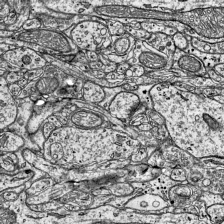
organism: Mouse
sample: Visual Cortex